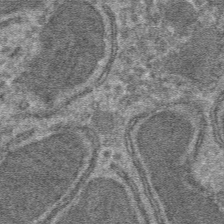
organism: Mouse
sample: Mouse hepatocytes